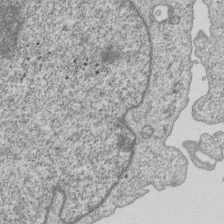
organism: Human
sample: MDA-MB-231 cells